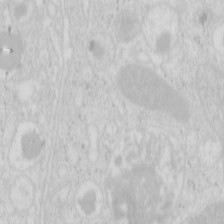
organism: Mouse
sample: Pancreas